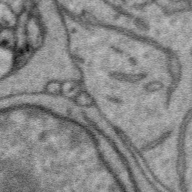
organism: Zebra finch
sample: Brain